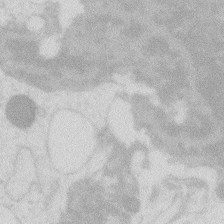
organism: Zebrafish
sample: Macrophage